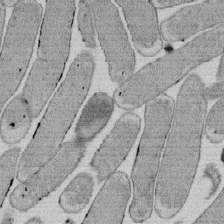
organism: E. coli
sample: Bacterial nucleoid